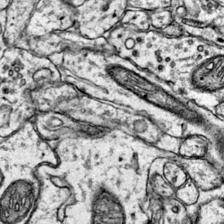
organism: Mouse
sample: Primary visual cortex